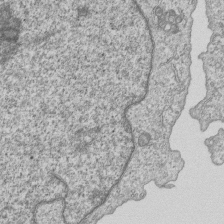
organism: Human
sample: MDA-MB-231 cells